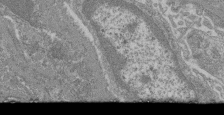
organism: Mouse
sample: Glomerulus